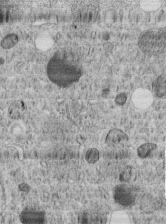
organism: C. elegans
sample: C. elegans embryo early stage